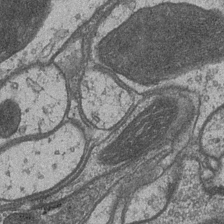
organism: Drosophila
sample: Optic medulla